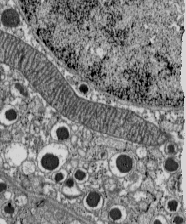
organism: C57BL Mouse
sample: Pancreatic islet